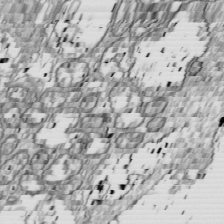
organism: Drosophila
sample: Cell division; meiosis; drosophila spermatocytes